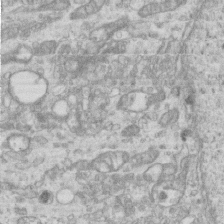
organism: Mouse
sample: Centriole in ependymal cells